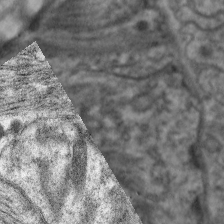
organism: C. elegans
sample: Pharynx